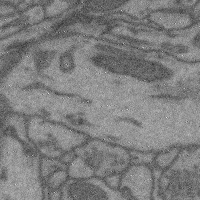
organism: Mouse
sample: Cerebral cortex